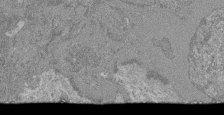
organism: Mouse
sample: Glomerulus